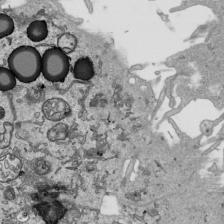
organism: Human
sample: Mitochondria in HCT116 cells